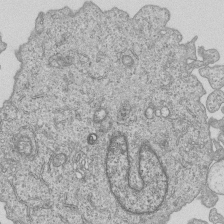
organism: Human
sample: MDA-MB-231 cells